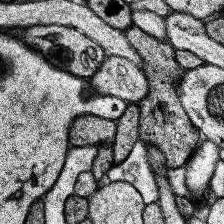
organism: Human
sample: Temporal Lobe